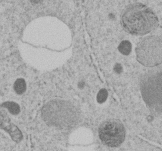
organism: C. elegans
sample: C. elegans embryo early stage